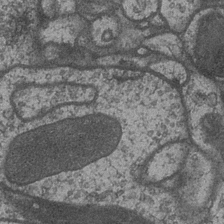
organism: Drosophila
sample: Optic medulla